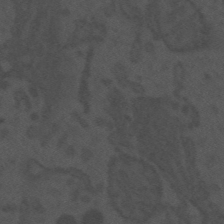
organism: Mouse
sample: Suprachiasmatic nucleus